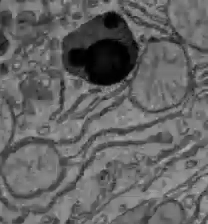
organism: C57BL Mouse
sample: Liver